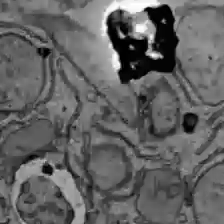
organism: C57BL Mouse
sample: Liver